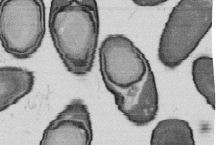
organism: B. subtilis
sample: Bacterial spore